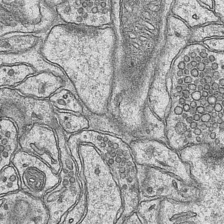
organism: Mouse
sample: CA1 Hippocampus